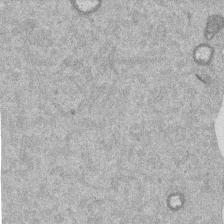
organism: Mouse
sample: Dividing mouse embryo 1 cell stage